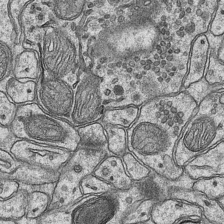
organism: Mouse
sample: CA1 Hippocampus